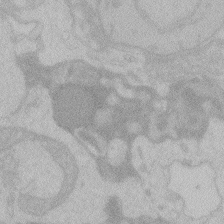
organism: Zebrafish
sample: Macrophage infected with Toxoplasma gondii